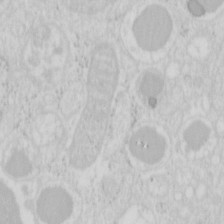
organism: Mouse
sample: Pancreas